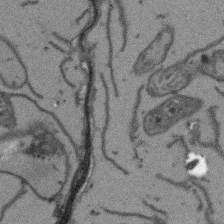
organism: Arabidopsis thaliana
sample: Root tip